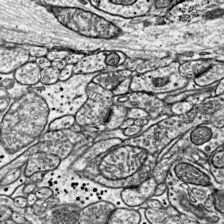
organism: Mouse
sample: Visual Cortex